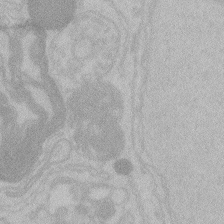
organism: Zebrafish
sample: Macrophage infected with Toxoplasma gondii